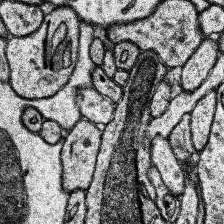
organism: Human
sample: Temporal Lobe